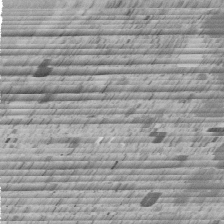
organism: C. elegans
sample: C. elegans embryo early stage